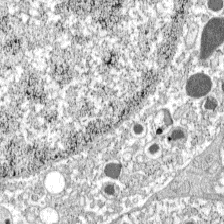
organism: C57BL Mouse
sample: Pancreatic islet